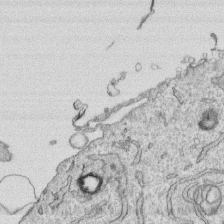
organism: Human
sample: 1205lu cells